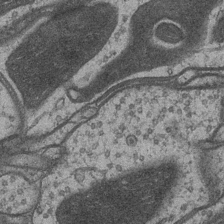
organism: Drosophila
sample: Optic medulla